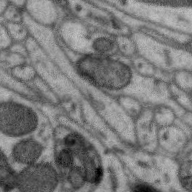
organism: Zebra finch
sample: Brain